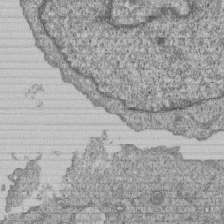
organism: Human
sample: MDA-MB-231 cells